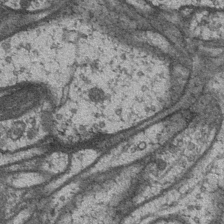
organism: Drosophila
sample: Optic medulla